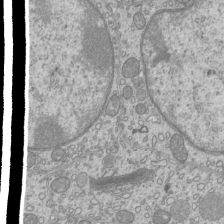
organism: Mouse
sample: Cilia; mouse epididymis